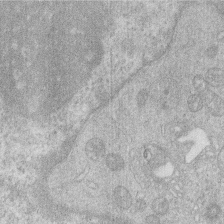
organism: Human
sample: Macrophage cells